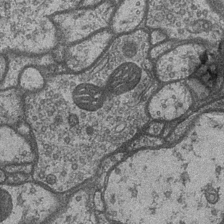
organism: Drosophila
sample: Optic medulla